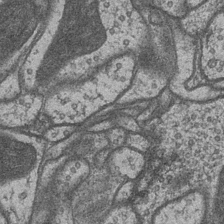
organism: Drosophila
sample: Optic medulla